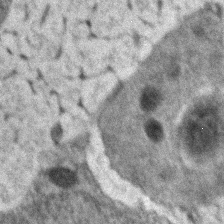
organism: Zebrafish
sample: Zebrafish embryo